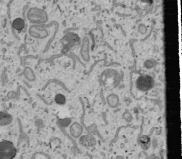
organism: Human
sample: Mitochondria in U2OS cells